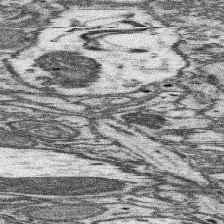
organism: Mouse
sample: Somatosensory cortex neuropil